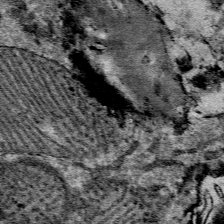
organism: Mouse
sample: Mouse Salivary gland